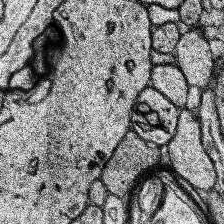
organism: Human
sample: Temporal Lobe